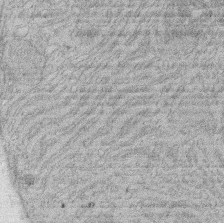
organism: Rat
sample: Salivary granule